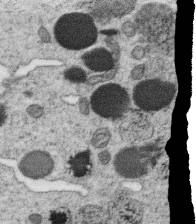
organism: C. elegans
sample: C. elegans oocyte; sperm cells